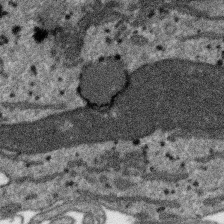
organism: Human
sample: Lung epithelial cells infected with SARS-CoV-2